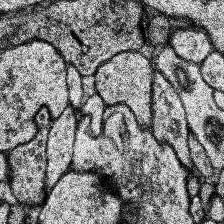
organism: Human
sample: Temporal Lobe